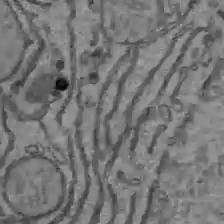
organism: C57BL Mouse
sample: Liver